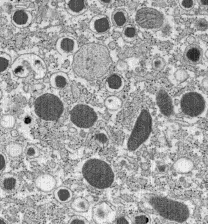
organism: C57BL Mouse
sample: Pancreatic islet